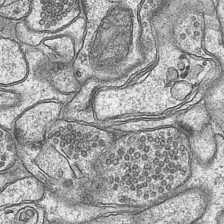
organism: Mouse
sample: CA1 Hippocampus